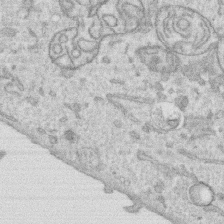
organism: Human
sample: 1205lu cells